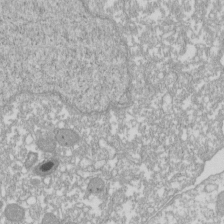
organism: Xenopus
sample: Cilia; centrioles in frog embryo cells